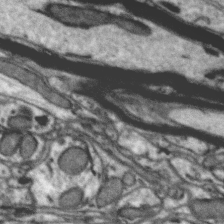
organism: Zebra finch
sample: Brain